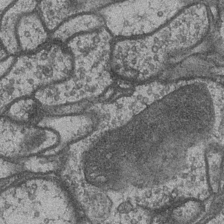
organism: Drosophila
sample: Optic medulla